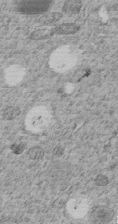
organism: C. elegans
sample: C. elegans embryo early stage